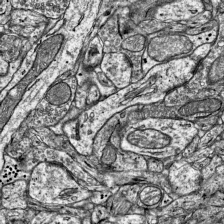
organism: Mouse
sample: Visual Cortex